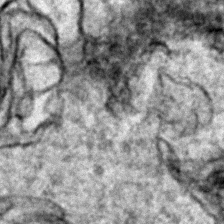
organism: Zebrafish